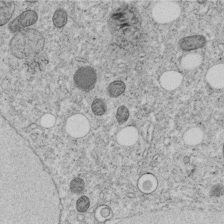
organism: C. elegans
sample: C. elegans embryo early stage